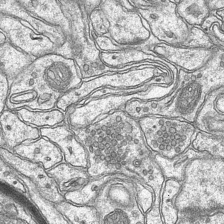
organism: Mouse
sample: CA1 Hippocampus